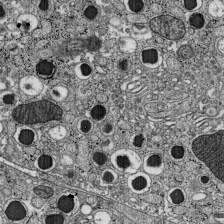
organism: C57BL Mouse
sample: Pancreatic islet